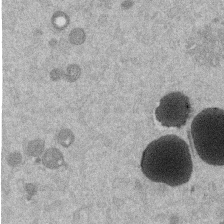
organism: Mouse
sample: Dividing mouse embryo 1 cell stage